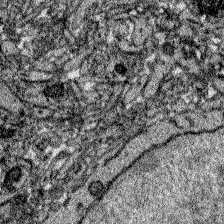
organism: Zebrafish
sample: Larval olfactory bulb